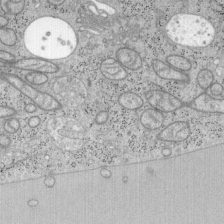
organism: Mouse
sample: OT-I killer T cells with ID8 ovarian cancer cells